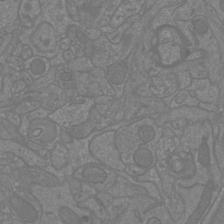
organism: Mouse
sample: Cortical neurons